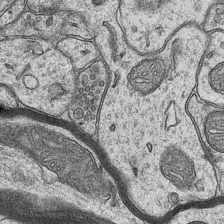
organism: Mouse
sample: CA1 Hippocampus